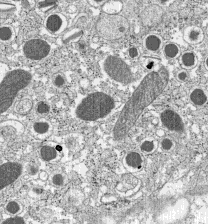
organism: C57BL Mouse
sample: Pancreatic islet